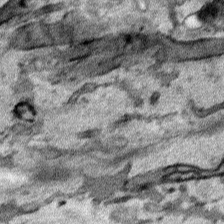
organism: Human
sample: Mitochondria in HCT116 cells